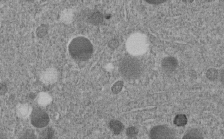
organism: C. elegans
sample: C. elegans embryo early stage